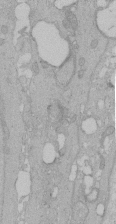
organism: Human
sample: Melanocyte Keratinocyte synapse skin construct